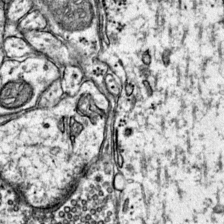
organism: Mouse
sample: Primary visual cortex